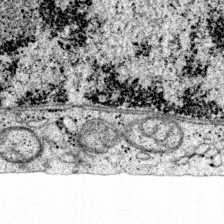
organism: Human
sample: HeLa cells